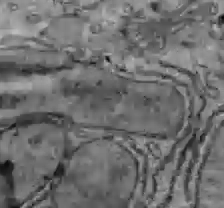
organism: C57BL Mouse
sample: Liver